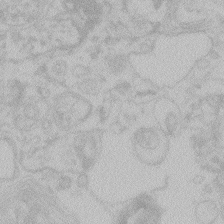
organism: Zebrafish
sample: Macrophage infected with Toxoplasma gondii